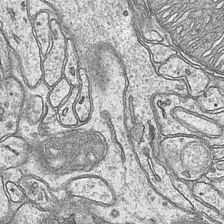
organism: Mouse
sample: CA1 Hippocampus